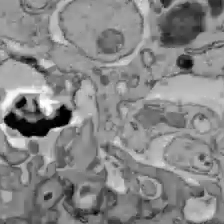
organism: C57BL Mouse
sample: Liver